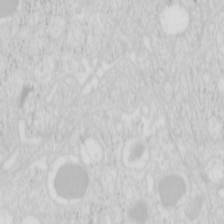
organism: Mouse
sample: Pancreas